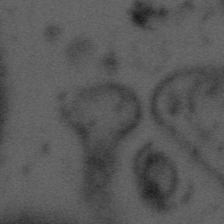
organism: Tuwongella immobilis